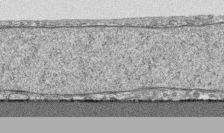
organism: Human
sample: CRL-1474